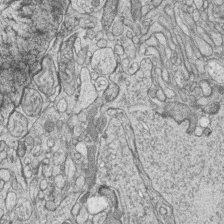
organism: Zebrafish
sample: synaptic ribbons in rod cells and cone cells